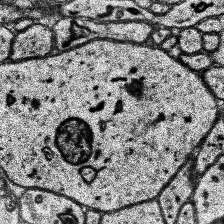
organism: Human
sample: Temporal Lobe